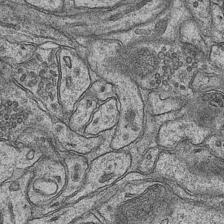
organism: Mouse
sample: CA1 Hippocampus